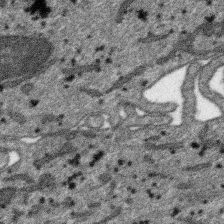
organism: Human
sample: Lung epithelial cells infected with SARS-CoV-2